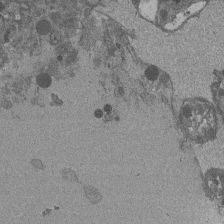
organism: Drosophila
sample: Antenna